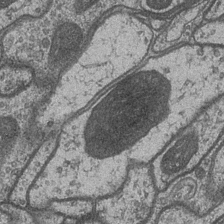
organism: Drosophila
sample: Optic medulla